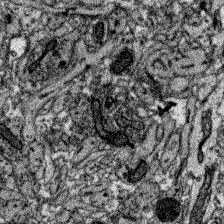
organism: Zebrafish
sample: Larval olfactory bulb